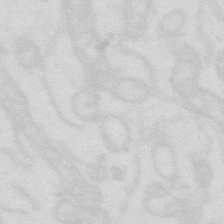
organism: Human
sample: HeLa cells